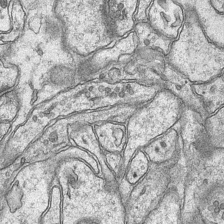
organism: Mouse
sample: CA1 Hippocampus